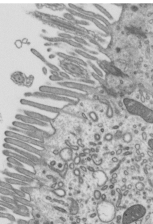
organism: Mouse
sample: Mouse epididymis efferent ductule cilia